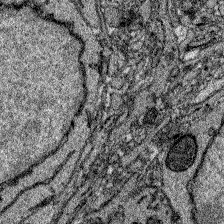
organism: Zebrafish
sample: Larval olfactory bulb